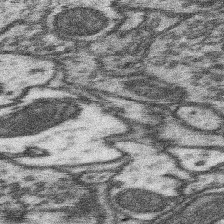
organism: Mouse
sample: Somatosensory cortex neuropil